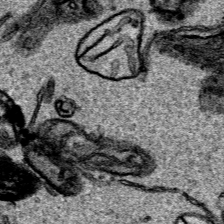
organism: Human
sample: Mitochondria in HCT116 cells